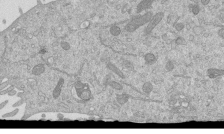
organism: Mouse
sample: ED-1 cell nuclei; centrioles